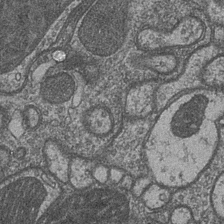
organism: Drosophila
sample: Optic medulla